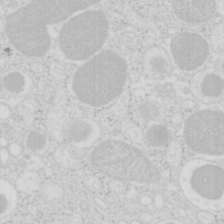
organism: Mouse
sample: Pancreas